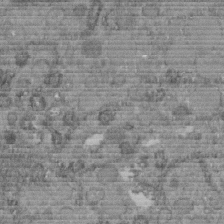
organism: C. elegans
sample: C. elegans embryo early stage